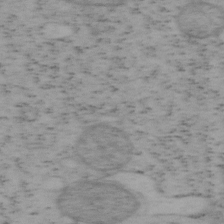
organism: Mouse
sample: OT-I killer T cells with ID8 ovarian cancer cells